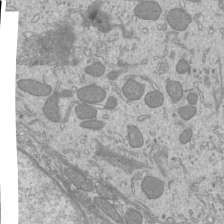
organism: Mouse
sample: Cilia; mouse epididymis